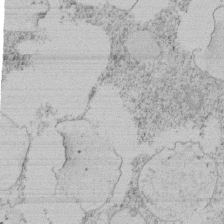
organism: Tetrahymena